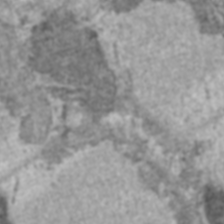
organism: C57BL Mouse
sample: Heart